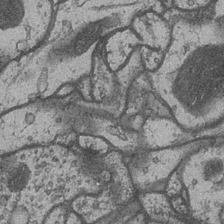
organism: Drosophila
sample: Optic medulla